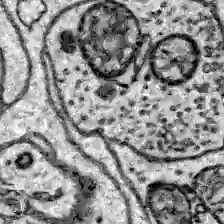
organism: Zebrafish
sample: Brain